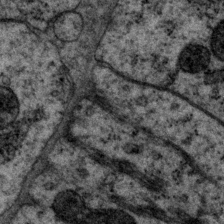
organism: P. pacificus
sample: Pharynx